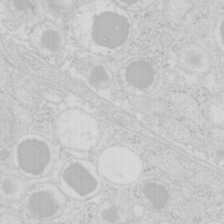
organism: Mouse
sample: Pancreas